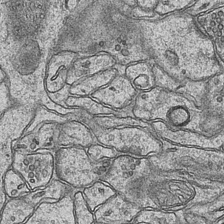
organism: Mouse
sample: CA1 Hippocampus